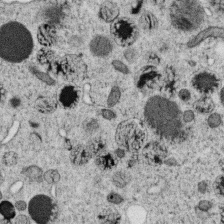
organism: C. elegans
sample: C. elegans oocyte; sperm cells